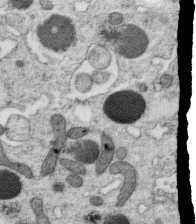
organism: C. elegans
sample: C. elegans oocyte; sperm cells